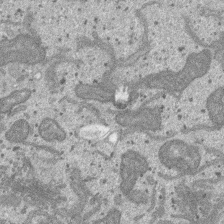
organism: Human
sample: Lung epithelial cells infected with SARS-CoV-2